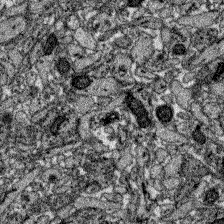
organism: Zebrafish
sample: Larval olfactory bulb